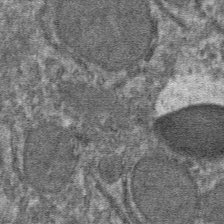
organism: Mouse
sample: Mouse hepatocytes